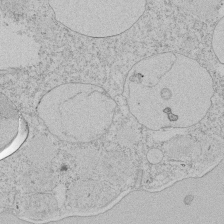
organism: Tetrahymena